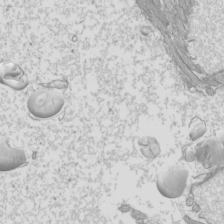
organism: Mouse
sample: Cilia; mouse epididymis